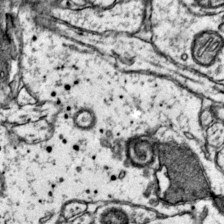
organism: Mouse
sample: Primary visual cortex